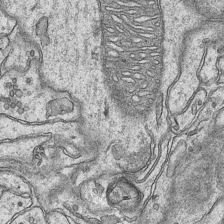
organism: Mouse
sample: CA1 Hippocampus